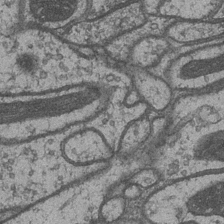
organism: Drosophila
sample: Optic medulla